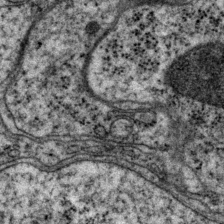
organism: P. pacificus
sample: Pharynx